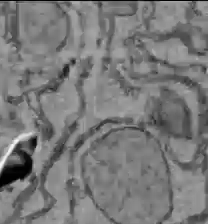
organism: C57BL Mouse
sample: Liver